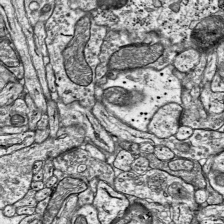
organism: Mouse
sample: Visual Cortex